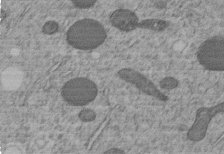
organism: C. elegans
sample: C. elegans embryo early stage